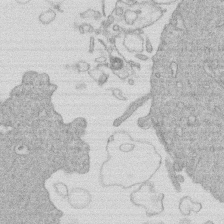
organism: Human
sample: Macrophage cells